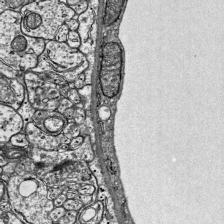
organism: Mouse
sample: Visual Cortex